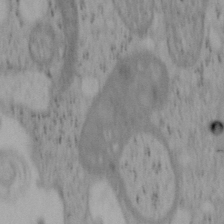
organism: Mouse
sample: OT-I killer T cells with ID8 ovarian cancer cells